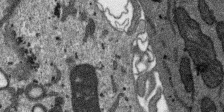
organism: Human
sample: Lung epithelial cells infected with SARS-CoV-2